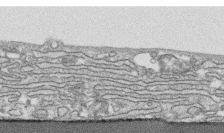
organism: Human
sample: CRL-1474